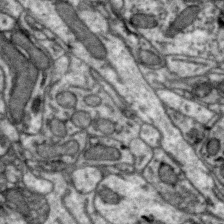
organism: Zebra finch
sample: Brain